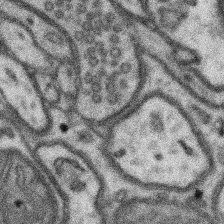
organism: Mouse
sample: Somatosensory cortex neuropil